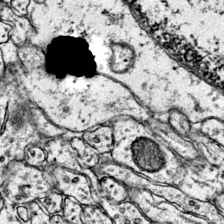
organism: Mouse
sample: Primary visual cortex